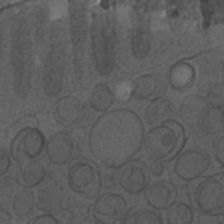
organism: C. elegans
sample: C. elegans embryo